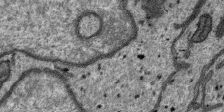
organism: Human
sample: Lung epithelial cells, uninfected (mock) control